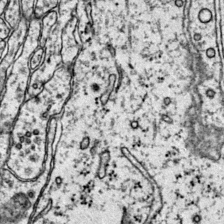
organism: Mouse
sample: Primary visual cortex